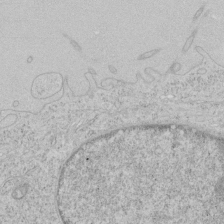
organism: Human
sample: Mitochondria in HCT116 cells